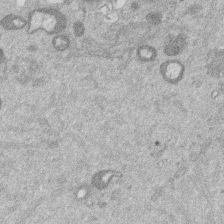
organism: Mouse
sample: Dividing mouse embryo 1 cell stage